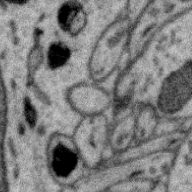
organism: Zebra finch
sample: Brain